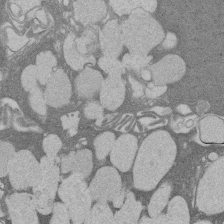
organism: Rat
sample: Salivary granule